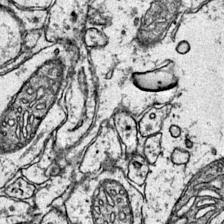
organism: Mouse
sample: Primary visual cortex